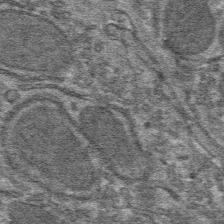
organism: Mouse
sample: Mouse hepatocytes